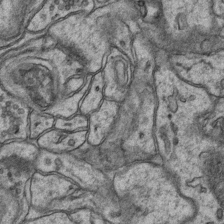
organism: Mouse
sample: CA1 Hippocampus